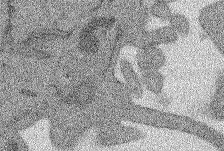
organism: Human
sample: HeLa cells